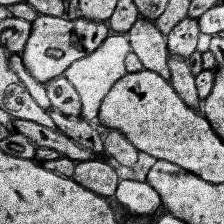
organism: Human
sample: Temporal Lobe